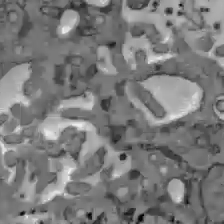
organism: C57BL Mouse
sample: Liver